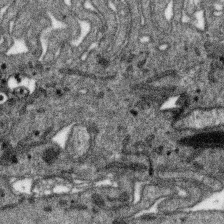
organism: Human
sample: Lung epithelial cells infected with SARS-CoV-2